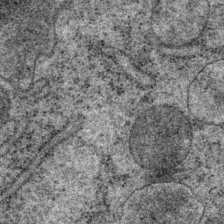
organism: P. pacificus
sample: Pharynx